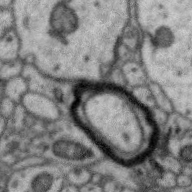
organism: Zebra finch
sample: Brain